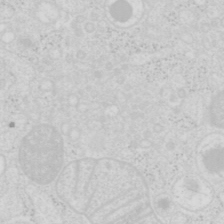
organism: Mouse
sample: Pancreas